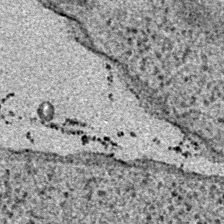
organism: E. coli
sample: E. Coli Bacteria